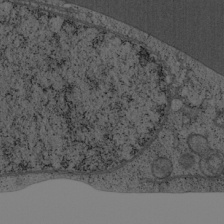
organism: African green monkey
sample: COS-7 cells